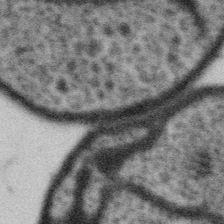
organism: Gemmata obscuriglobus